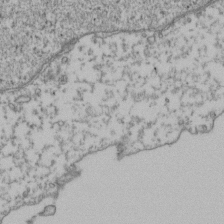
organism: Human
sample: Activated Jurkat CD4+ T cells